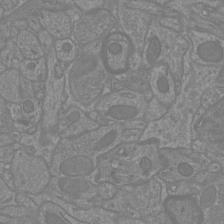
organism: Mouse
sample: Cortical neurons